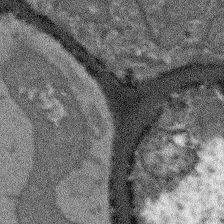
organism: Arabidopsis thaliana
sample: Root tip